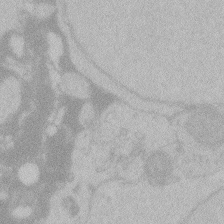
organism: Zebrafish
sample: Macrophage infected with Toxoplasma gondii